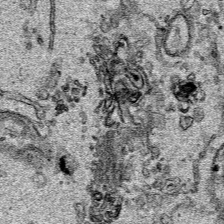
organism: Human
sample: Mitochondria in HCT116 cells